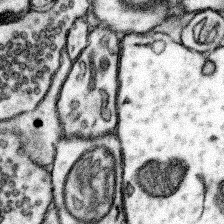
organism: Mouse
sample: Somatosensory cortex neuropil